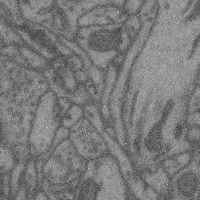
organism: Mouse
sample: Cerebral cortex